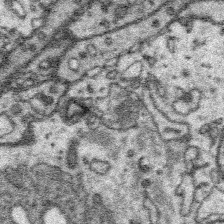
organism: Platynereis dumerilii